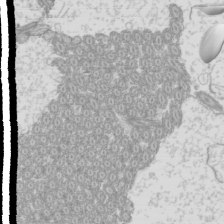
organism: Mouse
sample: Cilia; mouse epididymis